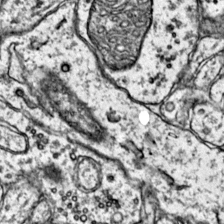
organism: Mouse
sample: Primary visual cortex